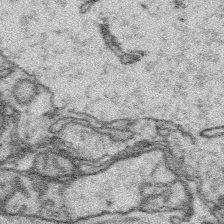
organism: Platynereis dumerilii